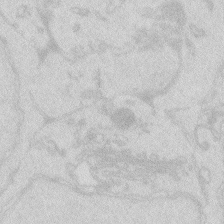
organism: Zebrafish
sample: Macrophage